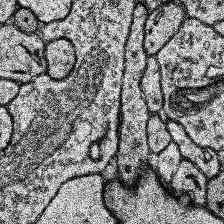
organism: Human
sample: Temporal Lobe